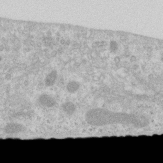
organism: Human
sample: Centriole in RPE cells